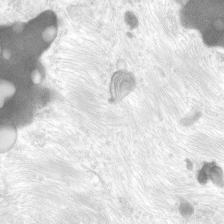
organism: Human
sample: Neocortex